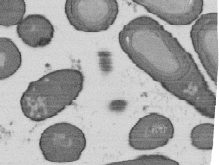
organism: B. subtilis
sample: Bacterial spore